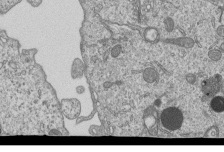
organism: Human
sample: MDA-MB-231 cells